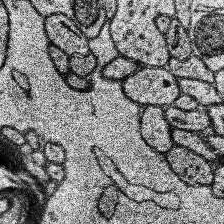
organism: Human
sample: Temporal Lobe